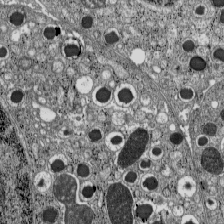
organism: C57BL Mouse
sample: Pancreatic islet